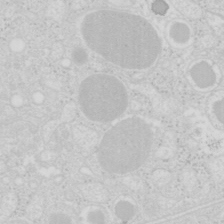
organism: Mouse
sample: Pancreas